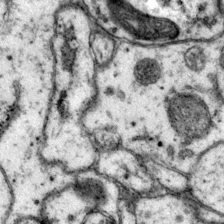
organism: Mouse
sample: Primary visual cortex